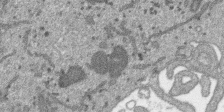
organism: Human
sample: Lung epithelial cells infected with SARS-CoV-2